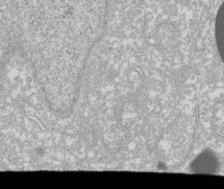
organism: Xenopus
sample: Cilia; centrioles in frog embryo cells